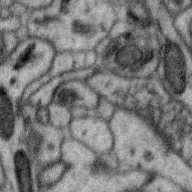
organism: Zebra finch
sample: Brain